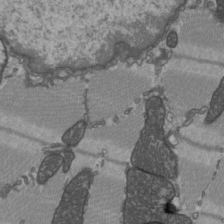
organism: C57BL Mouse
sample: Heart